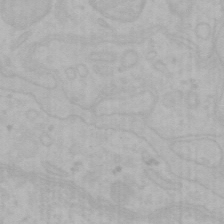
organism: Mouse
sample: Choroid plexus